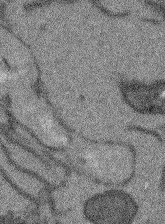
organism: Arabidopsis thaliana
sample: Root tip